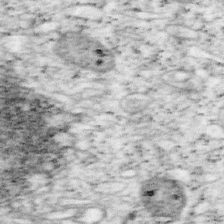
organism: Mouse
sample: OT-I killer T cells with ID8 ovarian cancer cells